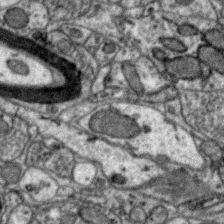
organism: Zebra finch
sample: Brain